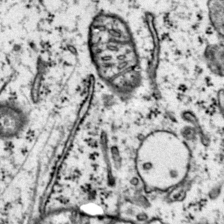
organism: Mouse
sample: Primary visual cortex